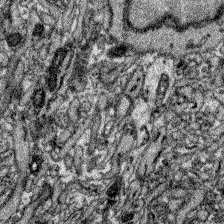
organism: Zebrafish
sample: Larval olfactory bulb